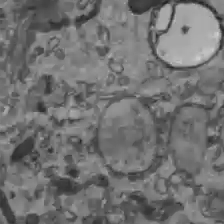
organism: C57BL Mouse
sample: Liver